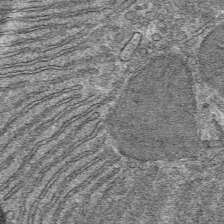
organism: Mouse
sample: Mouse hepatocytes